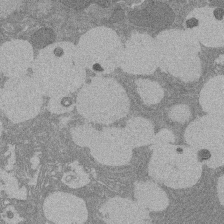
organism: Rat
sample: Salivary granule